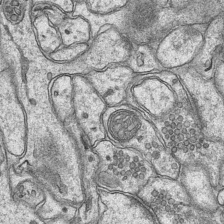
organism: Mouse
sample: CA1 Hippocampus